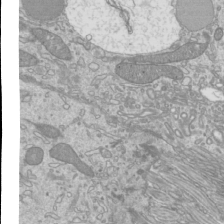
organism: Mouse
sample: Cilia; mouse epididymis